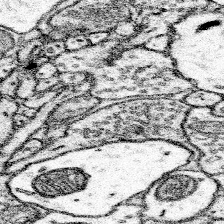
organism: Mouse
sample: Somatosensory cortex neuropil